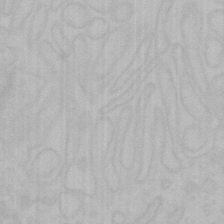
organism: Mouse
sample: Choroid plexus